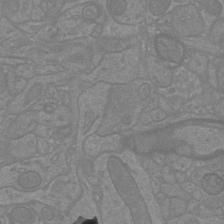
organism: Mouse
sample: Cortical neurons